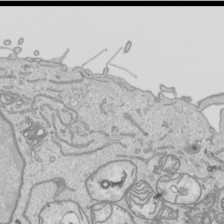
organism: Human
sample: Mitochondria in HCT116 cells